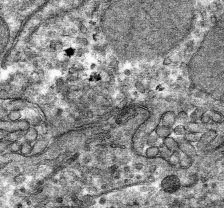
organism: Mouse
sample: Mouse hepatocytes